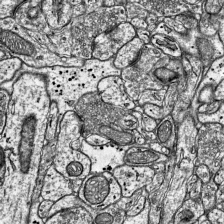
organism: Mouse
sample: Visual Cortex